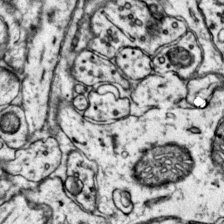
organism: Mouse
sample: Primary visual cortex